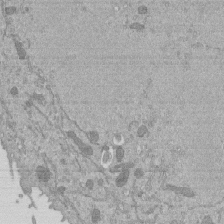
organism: Mouse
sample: ED-1 cell nuclei; centrioles